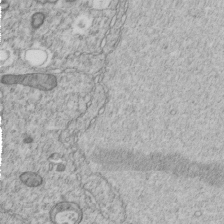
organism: C. elegans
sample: C. elegans embryo early stage